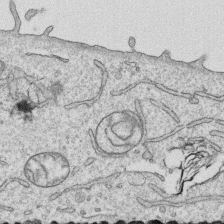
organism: Human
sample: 1205lu cells